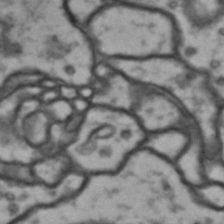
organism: Drosophila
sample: Brain